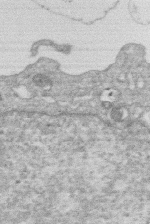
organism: Human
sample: Macrophage cells